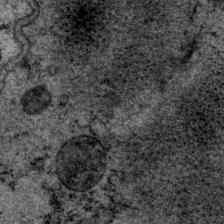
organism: P. pacificus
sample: Pharynx